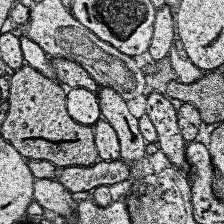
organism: Human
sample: Temporal Lobe